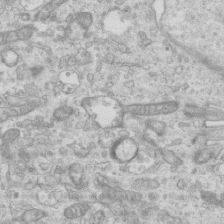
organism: Mouse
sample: Centriole in ependymal cells